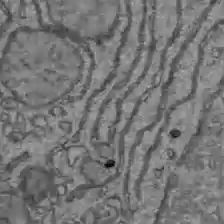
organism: C57BL Mouse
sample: Liver